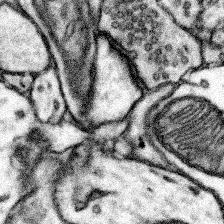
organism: Mouse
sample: Somatosensory cortex neuropil